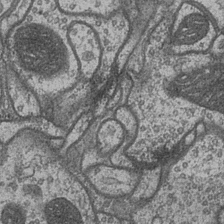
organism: Drosophila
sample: Optic medulla